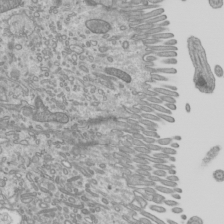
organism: Mouse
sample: Cilia; mouse epididymis